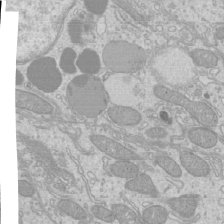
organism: Mouse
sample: Cilia; mouse epididymis